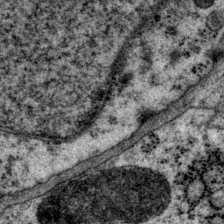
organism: P. pacificus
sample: Pharynx